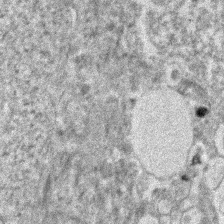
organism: Human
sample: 1205lu cells